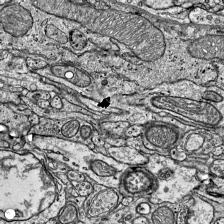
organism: Mouse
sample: Visual Cortex